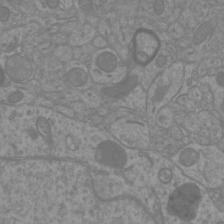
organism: Mouse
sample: Cortical neurons